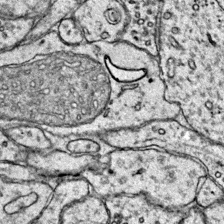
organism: Mouse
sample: Primary visual cortex